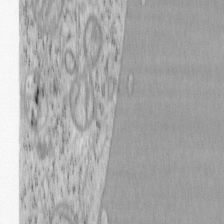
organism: Human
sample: HeLa cells